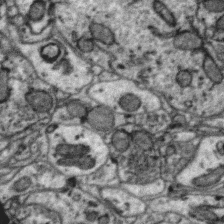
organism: Zebra finch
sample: Brain